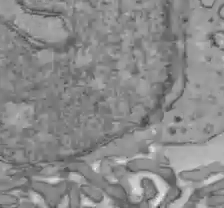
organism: C57BL Mouse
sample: Liver